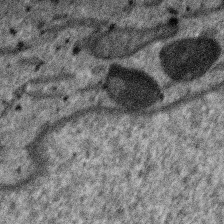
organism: Human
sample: Lung epithelial cells infected with SARS-CoV-2